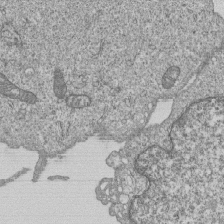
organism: Human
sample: MDA-MB-231 cells